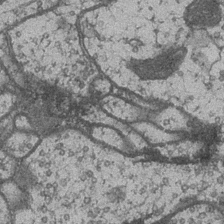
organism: Drosophila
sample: Optic medulla